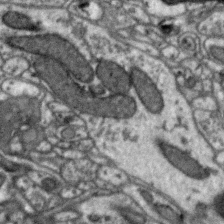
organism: Zebra finch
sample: Brain